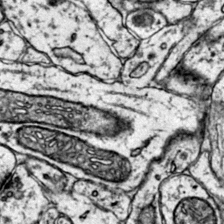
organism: Mouse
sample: Primary visual cortex